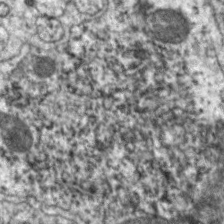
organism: C. elegans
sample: Pharynx